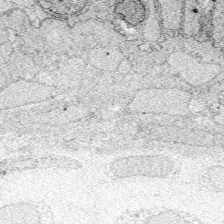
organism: Zebrafish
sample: Whole-Brain